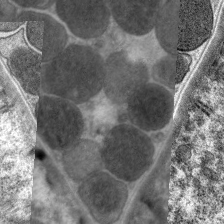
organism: C. elegans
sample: Pharynx